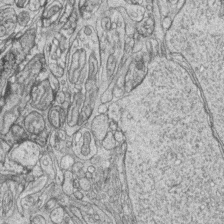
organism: Zebrafish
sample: synaptic ribbons in rod cells and cone cells